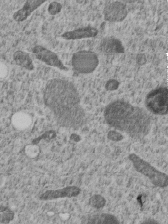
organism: C. elegans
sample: C. elegans embryo early stage